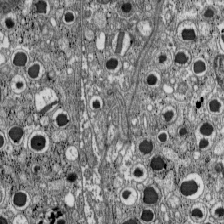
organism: C57BL Mouse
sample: Pancreatic islet